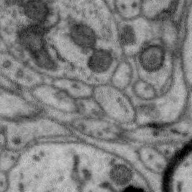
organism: Zebra finch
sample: Brain